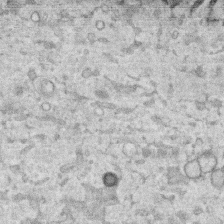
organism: Human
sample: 1205lu cells